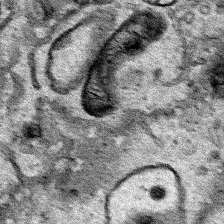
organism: Human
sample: Mitochondria in HCT116 cells